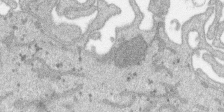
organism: Human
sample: Lung epithelial cells infected with SARS-CoV-2